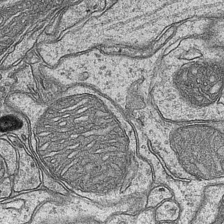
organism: Mouse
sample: CA1 Hippocampus